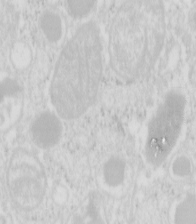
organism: Mouse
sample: Pancreas